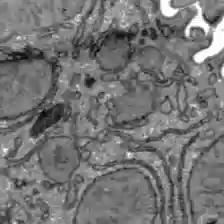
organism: C57BL Mouse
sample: Liver